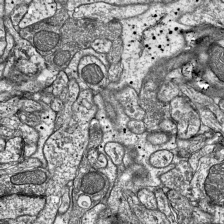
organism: Mouse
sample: Visual Cortex